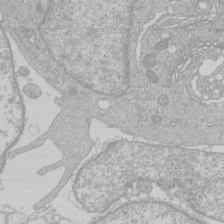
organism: Human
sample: Macrophage cells